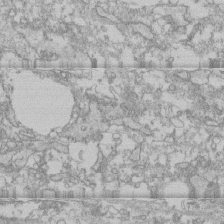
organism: Human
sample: CRL-1474